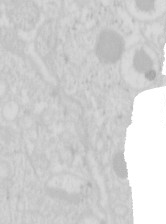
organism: Mouse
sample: Pancreas